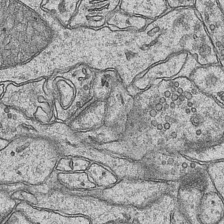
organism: Mouse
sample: CA1 Hippocampus